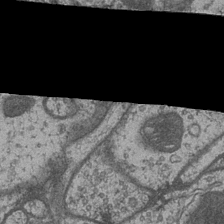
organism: Drosophila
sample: Optic medulla